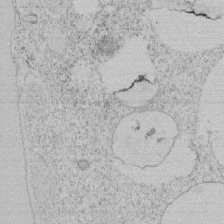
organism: Tetrahymena